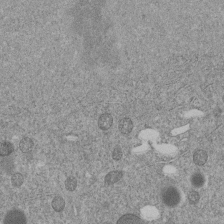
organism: C. elegans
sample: C. elegans embryo early stage